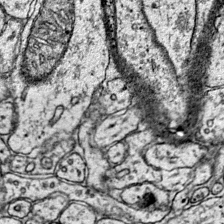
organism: Mouse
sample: Primary visual cortex